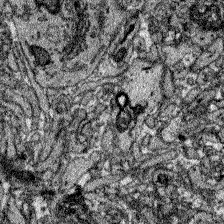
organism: Zebrafish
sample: Larval olfactory bulb